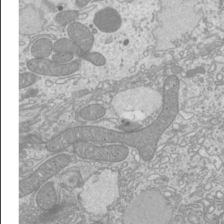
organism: Mouse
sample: Cilia; mouse epididymis